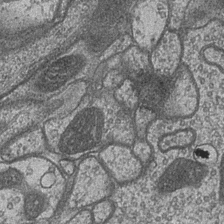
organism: Drosophila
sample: Optic medulla